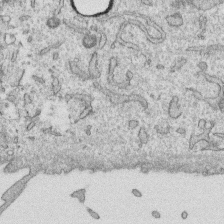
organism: Human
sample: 1205lu cells